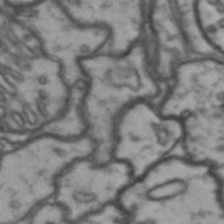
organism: Drosophila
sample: Brain